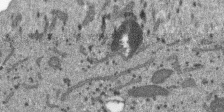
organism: Human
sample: Lung epithelial cells infected with SARS-CoV-2